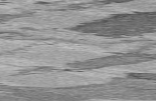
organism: C57BL Mouse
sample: Heart